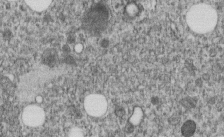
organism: C. elegans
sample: C. elegans embryo early stage